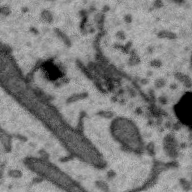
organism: Zebra finch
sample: Brain